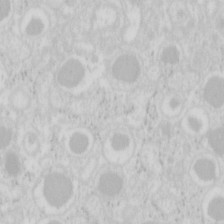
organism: Mouse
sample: Pancreas